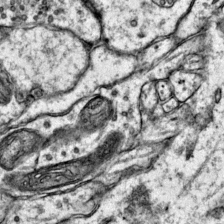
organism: Mouse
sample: Primary visual cortex